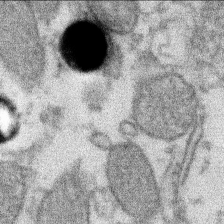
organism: Xenopus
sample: Cilia; centrioles in frog embryo cells